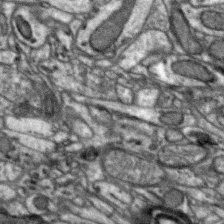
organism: Zebra finch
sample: Brain